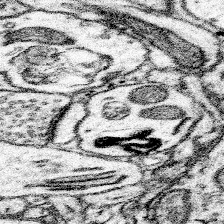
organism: Mouse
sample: Somatosensory cortex neuropil